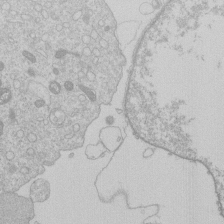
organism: Human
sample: Macrophage cells